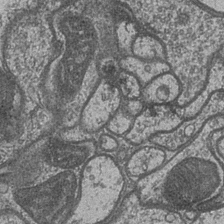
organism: Drosophila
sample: Optic medulla